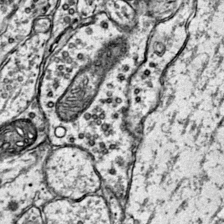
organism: Mouse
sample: Primary visual cortex